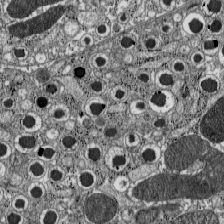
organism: C57BL Mouse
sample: Pancreatic islet